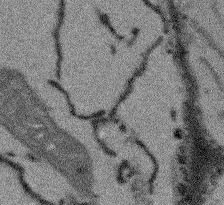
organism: Arabidopsis thaliana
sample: Root tip